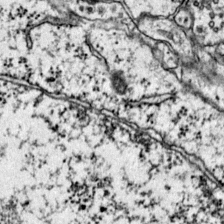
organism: Mouse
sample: Primary visual cortex